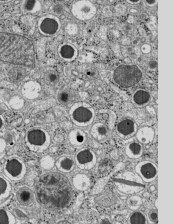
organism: C57BL Mouse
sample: Pancreatic islet